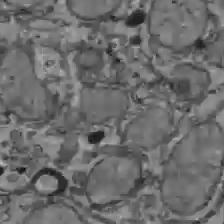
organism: C57BL Mouse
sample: Liver